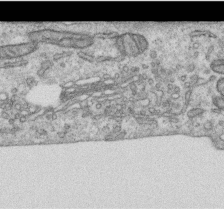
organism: Human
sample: Centriole in RPE cells